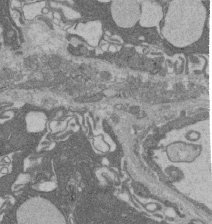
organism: Rat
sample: Salivary granule